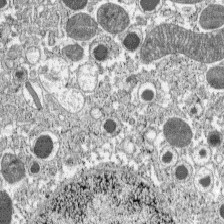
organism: C57BL Mouse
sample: Pancreatic islet